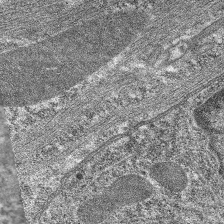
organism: C. elegans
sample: Pharynx